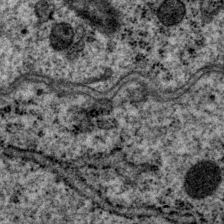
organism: P. pacificus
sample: Pharynx